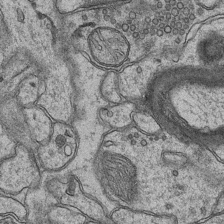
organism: Mouse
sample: CA1 Hippocampus